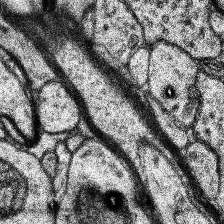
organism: Human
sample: Temporal Lobe